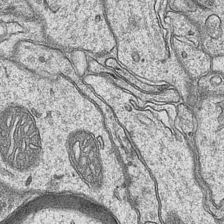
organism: Mouse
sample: CA1 Hippocampus